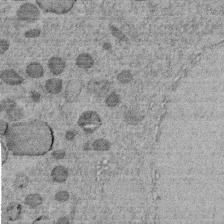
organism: C. elegans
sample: C. elegans embryo early stage